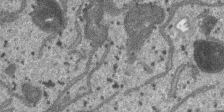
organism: Human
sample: Lung epithelial cells infected with SARS-CoV-2